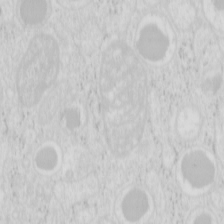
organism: Mouse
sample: Pancreas